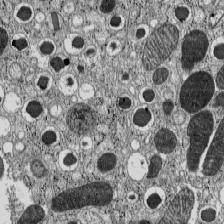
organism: C57BL Mouse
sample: Pancreatic islet